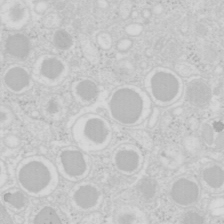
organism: Mouse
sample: Pancreas